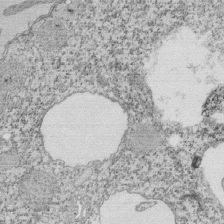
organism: Tetrahymena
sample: Cilia in tetrahymena